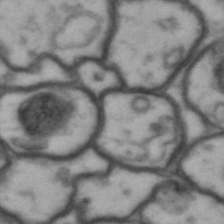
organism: Drosophila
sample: Brain